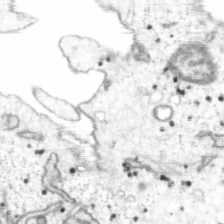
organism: Human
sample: HeLa cells